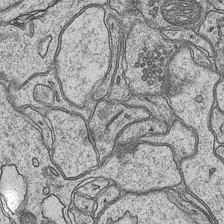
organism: Mouse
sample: CA1 Hippocampus